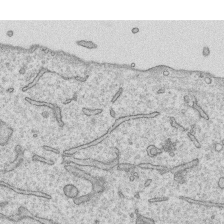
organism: Human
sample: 1205lu cells